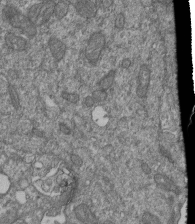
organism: Human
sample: Retinal organoid Rod and Cone cells